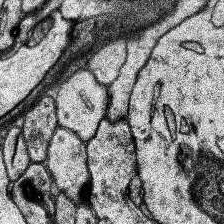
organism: Human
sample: Temporal Lobe